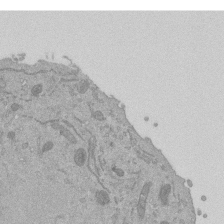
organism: Mouse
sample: ED-1 cell nuclei; centrioles